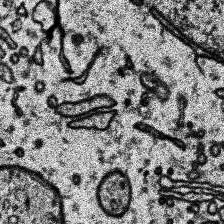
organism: Human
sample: Temporal Lobe